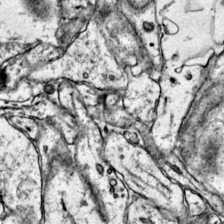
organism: Mouse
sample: Primary visual cortex